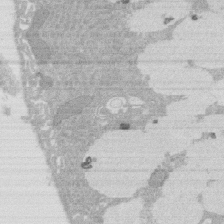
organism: Rat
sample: Salivary granule